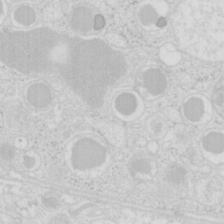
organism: Mouse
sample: Pancreas